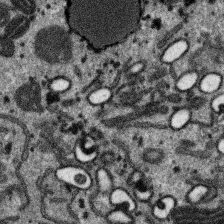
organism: Human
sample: Lung epithelial cells infected with SARS-CoV-2